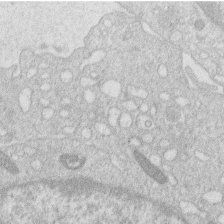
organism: Human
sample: Macrophage cells